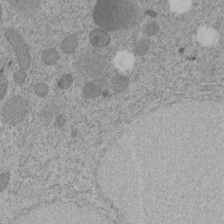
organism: C. elegans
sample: C. elegans embryo early stage